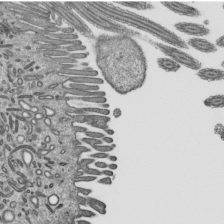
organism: Mouse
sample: Mouse epididymis efferent ductule cilia